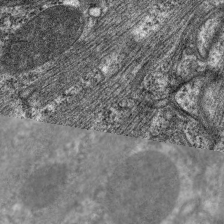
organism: C. elegans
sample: Pharynx